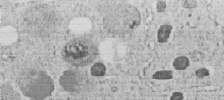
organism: C. elegans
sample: C. elegans embryo early stage